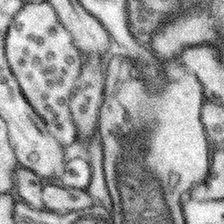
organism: Mouse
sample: Somatosensory cortex neuropil